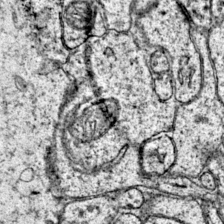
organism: Mouse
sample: Primary visual cortex